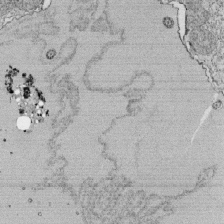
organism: Tetrahymena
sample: Cilia in tetrahymena